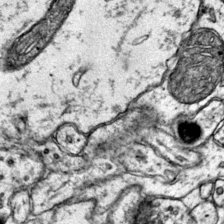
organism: Mouse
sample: Primary visual cortex